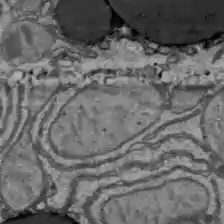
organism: C57BL Mouse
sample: Liver